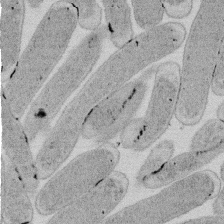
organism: E. coli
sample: Bacterial nucleoid